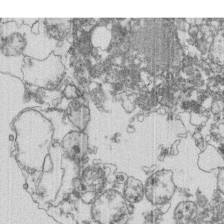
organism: Human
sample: HeLa cell HIV synapse